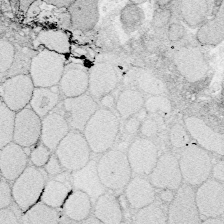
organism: Zebrafish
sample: Whole-Brain